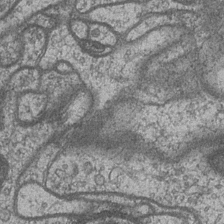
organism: Drosophila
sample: Optic medulla